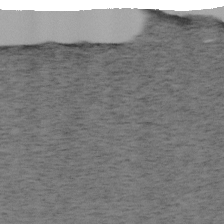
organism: Mouse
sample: OT-I killer T cells with ID8 ovarian cancer cells